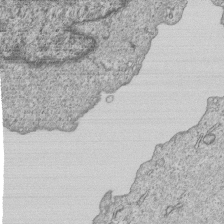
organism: Human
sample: MDA-MB-231 cells